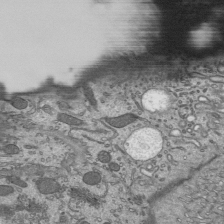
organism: Mouse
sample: Mouse epididymis efferent ductule cilia